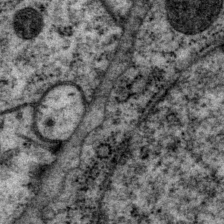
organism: P. pacificus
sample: Pharynx